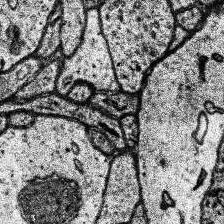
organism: Human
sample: Temporal Lobe